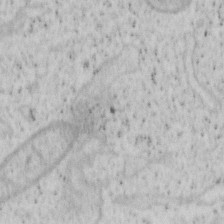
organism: Human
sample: HeLa cells